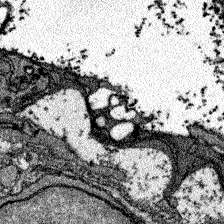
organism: Zebrafish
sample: Larval olfactory bulb